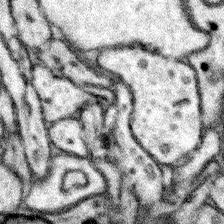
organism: Mouse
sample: Somatosensory cortex neuropil